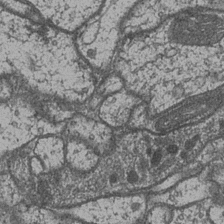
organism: Drosophila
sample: Optic medulla